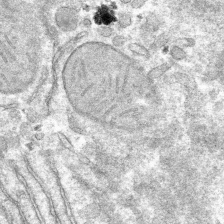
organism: Mouse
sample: Mouse hepatocytes